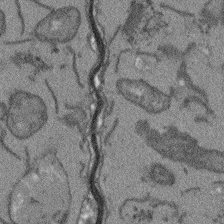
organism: Arabidopsis thaliana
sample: Root tip